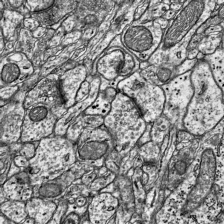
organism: Mouse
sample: Visual Cortex